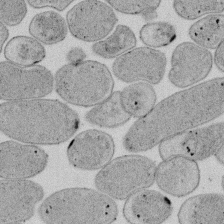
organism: E. coli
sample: Bacterial nucleoid